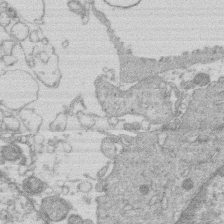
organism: Human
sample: Macrophage cells